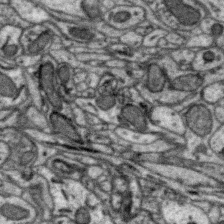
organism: Zebra finch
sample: Brain